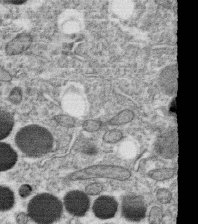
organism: C. elegans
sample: C. elegans oocyte; sperm cells